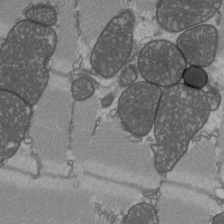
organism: C57BL Mouse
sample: Heart